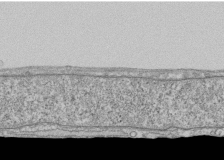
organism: Human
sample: Fibroblast cells